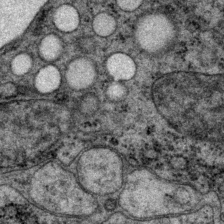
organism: P. pacificus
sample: Pharynx